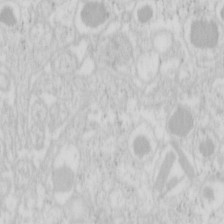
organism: Mouse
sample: Pancreas